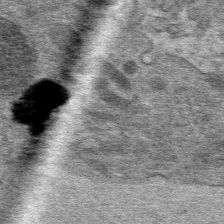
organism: Mouse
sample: Mouse hepatocytes